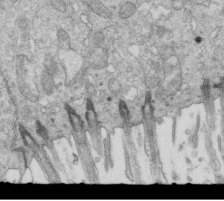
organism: Mouse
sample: Multiciliated cells